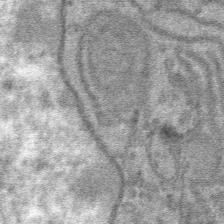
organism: Mouse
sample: Mouse hepatocytes